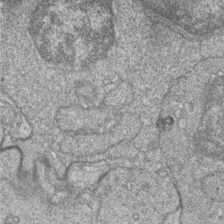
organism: Zebrafish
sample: Cilia; retinal pigment epithelium